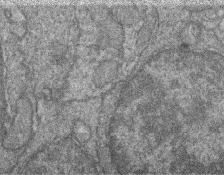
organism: Zebrafish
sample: Cilia; retinal pigment epithelium